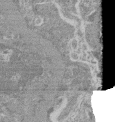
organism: Mouse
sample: Glomerulus